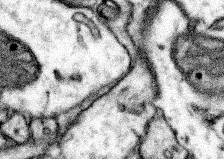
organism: Mouse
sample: Somatosensory cortex neuropil